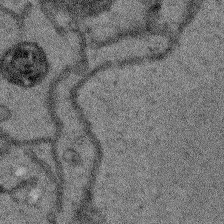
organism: Arabidopsis thaliana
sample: Root tip